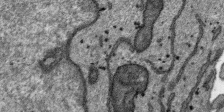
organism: Human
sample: Lung epithelial cells, uninfected (mock) control